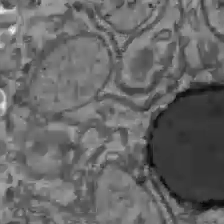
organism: C57BL Mouse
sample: Liver